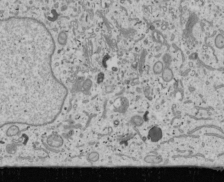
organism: Human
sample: Mitochondria in U2OS cells